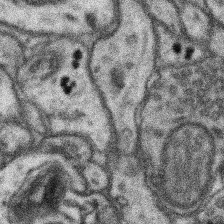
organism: Mouse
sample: Somatosensory cortex neuropil